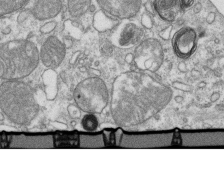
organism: Mouse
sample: Activated OT-1 CD8+ T cells